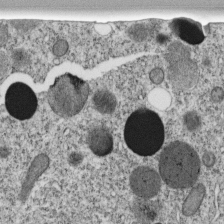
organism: C. elegans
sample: C. elegans embryo early stage